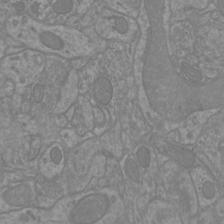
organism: Mouse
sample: Cortical neurons